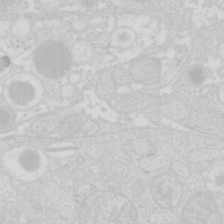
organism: Mouse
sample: Pancreas